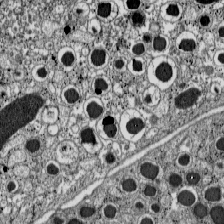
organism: C57BL Mouse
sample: Pancreatic islet